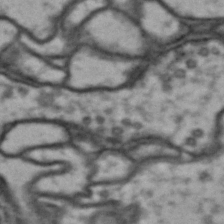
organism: Drosophila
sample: Brain